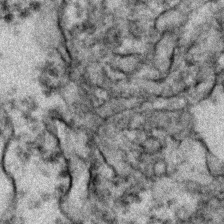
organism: Zebrafish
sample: Zebrafish embryo